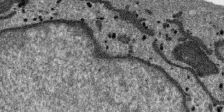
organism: Human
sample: Lung epithelial cells, uninfected (mock) control